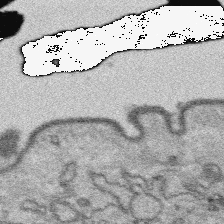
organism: Platynereis dumerilii